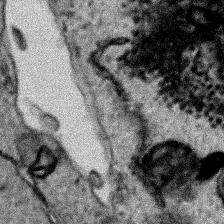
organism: Human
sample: Mitochondria in HCT116 cells